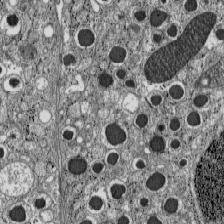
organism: C57BL Mouse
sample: Pancreatic islet